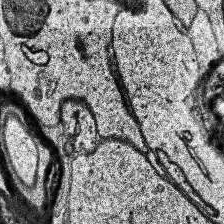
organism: Human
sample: Temporal Lobe